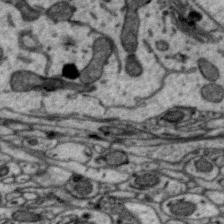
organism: Zebra finch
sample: Brain